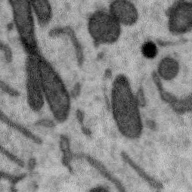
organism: Zebra finch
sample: Brain